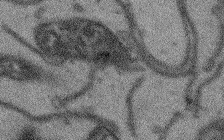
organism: Arabidopsis thaliana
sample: Root tip